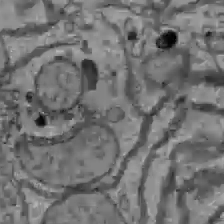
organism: C57BL Mouse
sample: Liver